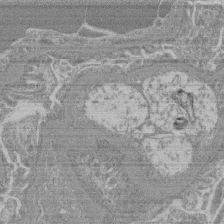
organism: Mouse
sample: Glomerulus